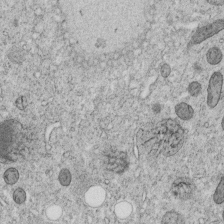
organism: C. elegans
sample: C. elegans embryo early stage